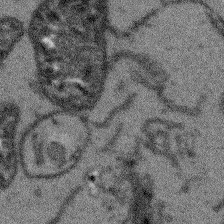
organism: Arabidopsis thaliana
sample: Root tip